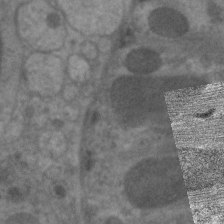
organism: C. elegans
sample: Pharynx